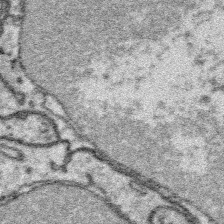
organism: Platynereis dumerilii